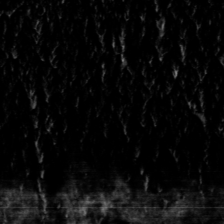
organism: Toxoplasma gondii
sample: Parasites in a vacuole inside a host cell